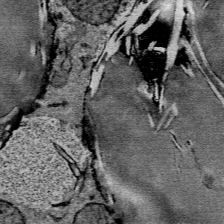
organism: Mouse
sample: Mouse Salivary gland